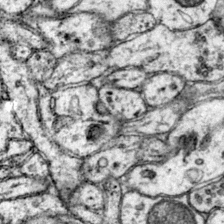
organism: Mouse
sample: Primary visual cortex